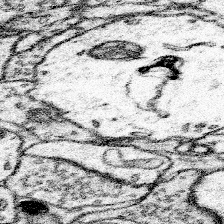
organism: Mouse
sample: Somatosensory cortex neuropil